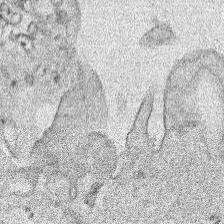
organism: Human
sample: Mitochondria in HCT116 cells